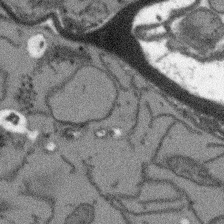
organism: Arabidopsis thaliana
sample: Root tip